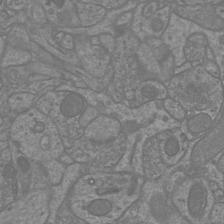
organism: Mouse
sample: Cortical neurons